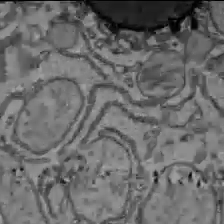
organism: C57BL Mouse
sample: Liver